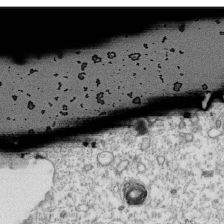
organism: Mouse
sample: Activated OT-1 CD8+ T cells